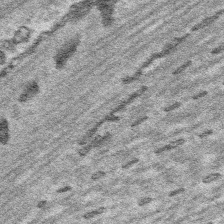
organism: Platynereis dumerilii